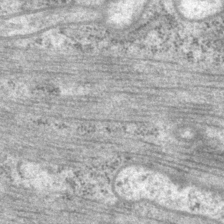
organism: P. pacificus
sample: Pharynx